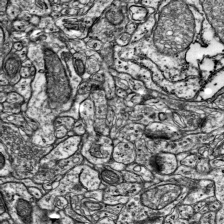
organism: Mouse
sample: Visual Cortex